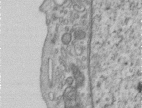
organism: Human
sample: Centriole in RPE cells